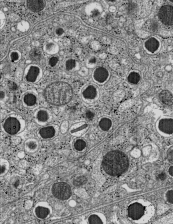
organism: C57BL Mouse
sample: Pancreatic islet